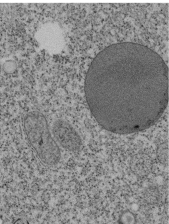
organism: Tetrahymena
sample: Cilia in tetrahymena